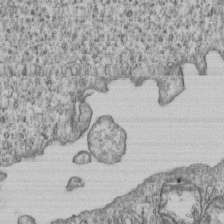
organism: Human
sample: MDA-MB-231 cells